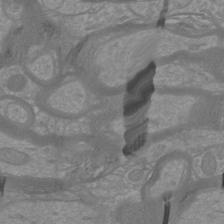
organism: Mouse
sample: Cortical neurons